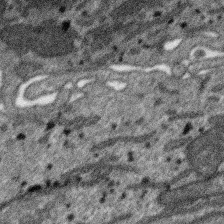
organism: Human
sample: Lung epithelial cells infected with SARS-CoV-2